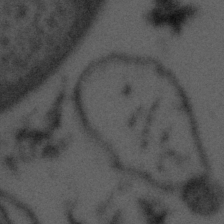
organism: Tuwongella immobilis